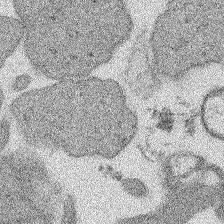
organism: Human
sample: HeLa cells